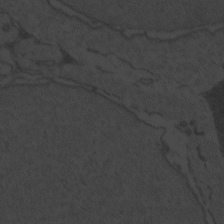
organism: Zebrafish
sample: Macrophage infected with Toxoplasma gondii